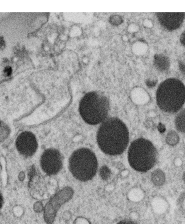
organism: C. elegans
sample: C. elegans oocyte; sperm cells